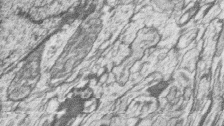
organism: Zebrafish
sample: synaptic ribbons in rod cells and cone cells